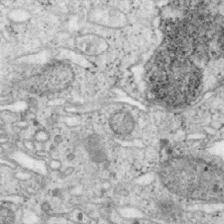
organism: Mouse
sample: OT-I killer T cells with ID8 ovarian cancer cells